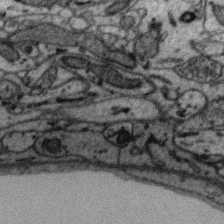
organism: Zebra finch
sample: Brain